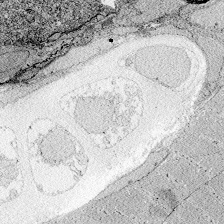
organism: Zebrafish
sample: Whole-Brain